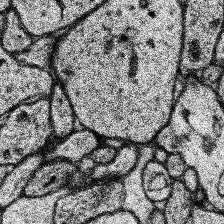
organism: Human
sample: Temporal Lobe